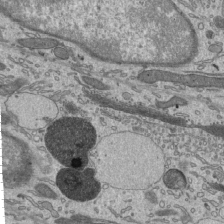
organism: Mouse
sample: Mouse epididymis efferent ductule cilia